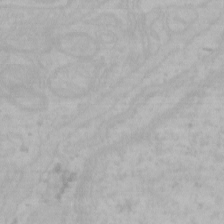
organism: Mouse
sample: Choroid plexus